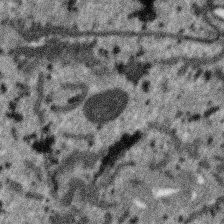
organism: Human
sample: Lung epithelial cells infected with SARS-CoV-2